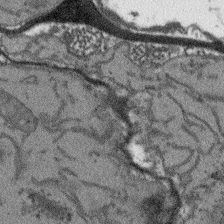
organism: Arabidopsis thaliana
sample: Root tip